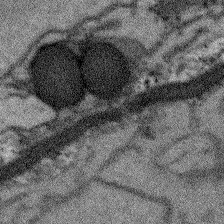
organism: Arabidopsis thaliana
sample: Root tip